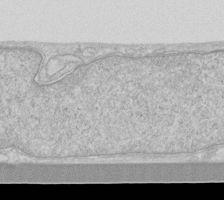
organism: Human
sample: Fibroblast cells